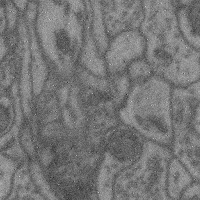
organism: Mouse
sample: Cerebral cortex